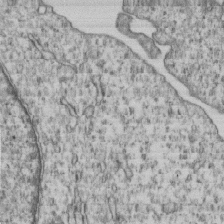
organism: Human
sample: MDA-MB-231 cells